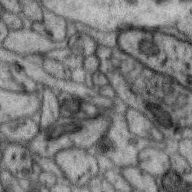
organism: Zebra finch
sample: Brain